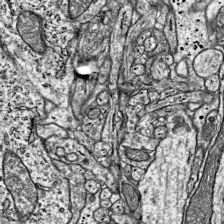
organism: Mouse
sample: Visual Cortex